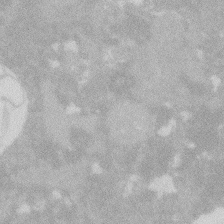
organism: Zebrafish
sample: Macrophage